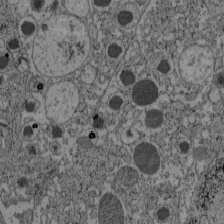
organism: C57BL Mouse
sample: Pancreatic islet